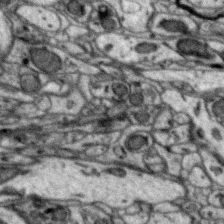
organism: Zebra finch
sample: Brain